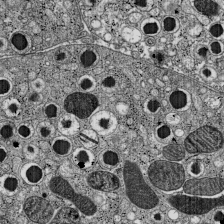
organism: C57BL Mouse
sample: Pancreatic islet